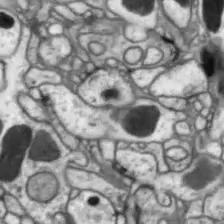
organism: Drosophila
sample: Optic lobe